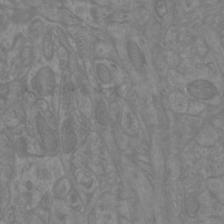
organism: Mouse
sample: Cortical neurons